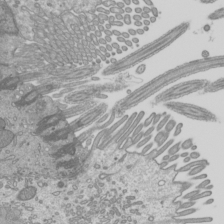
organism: Mouse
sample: Cilia; mouse epididymis